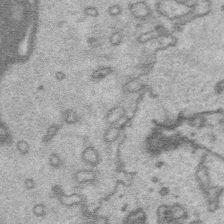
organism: Platynereis dumerilii